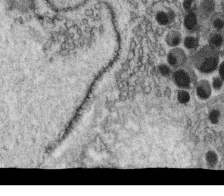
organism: C. elegans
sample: C. elegans oocyte; sperm cells